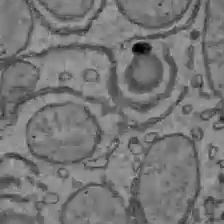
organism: C57BL Mouse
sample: Liver